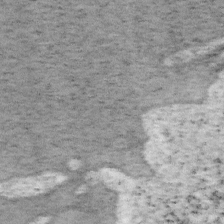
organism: Mouse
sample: OT-I killer T cells with ID8 ovarian cancer cells